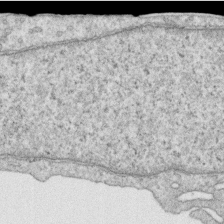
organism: Human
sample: Centriole in RPE cells